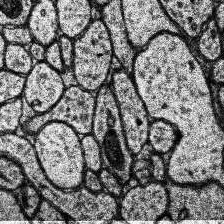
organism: Human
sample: Temporal Lobe